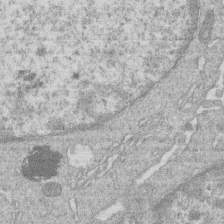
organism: Human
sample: Macrophage cells